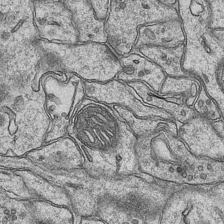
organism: Mouse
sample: CA1 Hippocampus